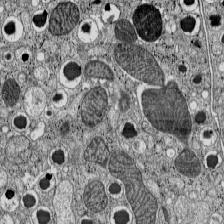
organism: C57BL Mouse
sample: Pancreatic islet